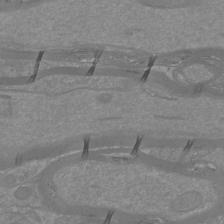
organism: Mouse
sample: Cortical neurons